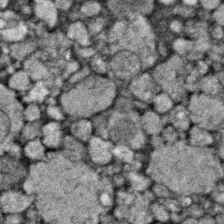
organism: Zebrafish